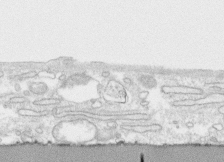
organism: Human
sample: CRL-1474